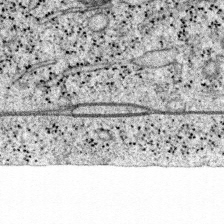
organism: Human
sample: HeLa cells